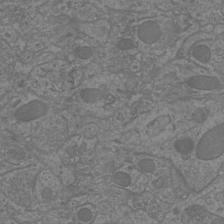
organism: Mouse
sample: Cortical neurons